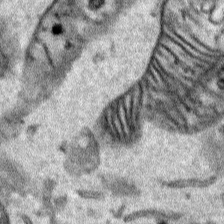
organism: Human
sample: Mitochondria in HCT116 cells